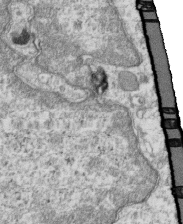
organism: Mouse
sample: Activated OT-1 CD8+ T cells